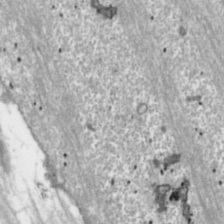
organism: Toxoplasma gondii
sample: Parasites in a vacuole inside a host cell